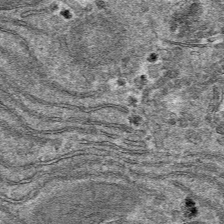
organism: Mouse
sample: Mouse hepatocytes